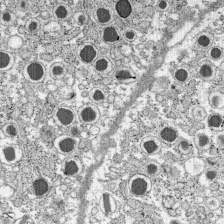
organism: C57BL Mouse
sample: Pancreatic islet